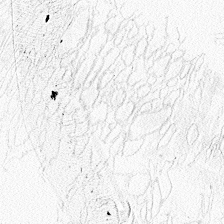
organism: Zebrafish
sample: Whole-Brain